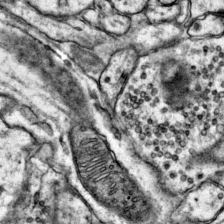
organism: Mouse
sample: Primary visual cortex